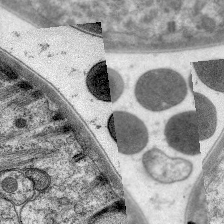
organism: C. elegans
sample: Pharynx